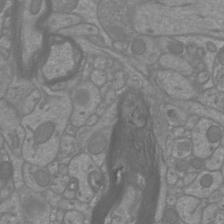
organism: Mouse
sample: Cortical neurons